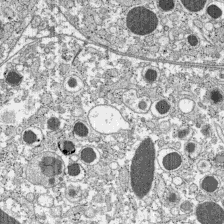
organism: C57BL Mouse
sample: Pancreatic islet